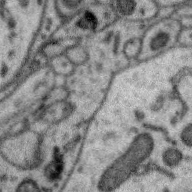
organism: Zebra finch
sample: Brain